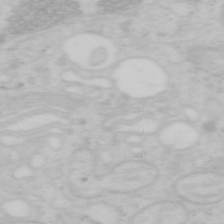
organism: Mouse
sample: OT-I killer T cells with ID8 ovarian cancer cells